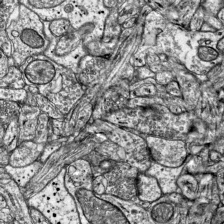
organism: Mouse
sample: Visual Cortex